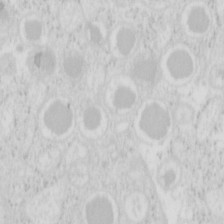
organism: Mouse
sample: Pancreas